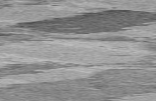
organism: C57BL Mouse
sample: Heart